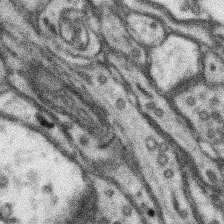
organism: Mouse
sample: Somatosensory cortex neuropil